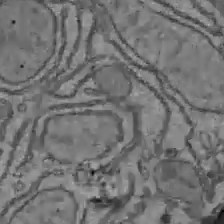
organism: C57BL Mouse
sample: Liver